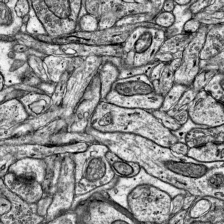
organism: Mouse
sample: Visual Cortex